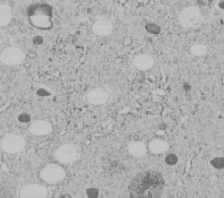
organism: C. elegans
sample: C. elegans embryo early stage